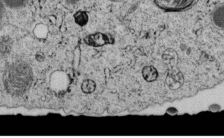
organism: C. elegans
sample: C. elegans embryo early stage